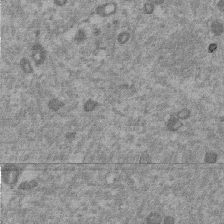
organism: Mouse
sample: Dividing mouse embryo 1 cell stage